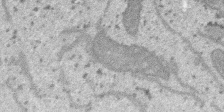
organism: Human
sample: Lung epithelial cells infected with SARS-CoV-2